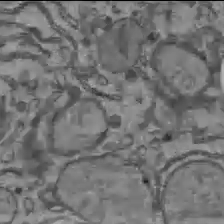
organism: C57BL Mouse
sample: Liver